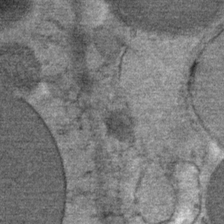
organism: Mouse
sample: Mouse Salivary gland